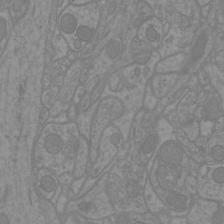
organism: Mouse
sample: Cortical neurons